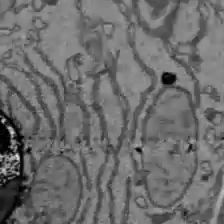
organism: C57BL Mouse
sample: Liver